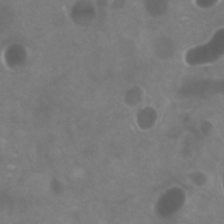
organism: Zebrafish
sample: Zebrafish embryo